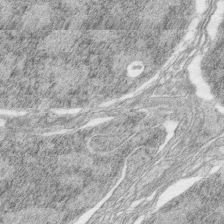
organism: Zebrafish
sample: synaptic ribbons in rod cells and cone cells